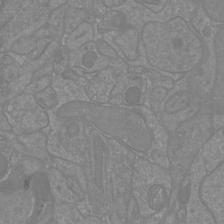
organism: Mouse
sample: Cortical neurons